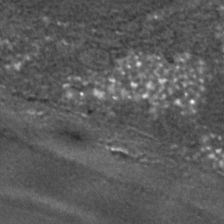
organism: C. elegans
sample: C. elegans embryo